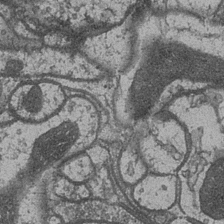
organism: Drosophila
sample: Optic medulla